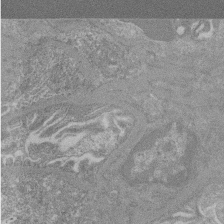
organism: Mouse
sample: Glomerulus